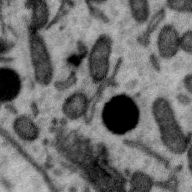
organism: Zebra finch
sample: Brain